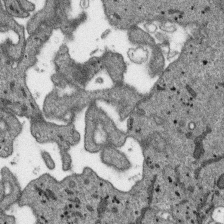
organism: Human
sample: Lung epithelial cells, uninfected (mock) control